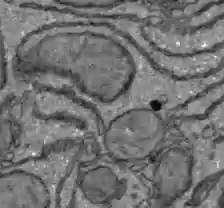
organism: C57BL Mouse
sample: Liver